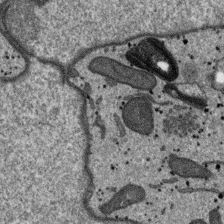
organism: Human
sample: Lung epithelial cells, uninfected (mock) control